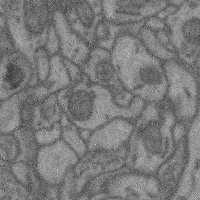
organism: Mouse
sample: Cerebral cortex